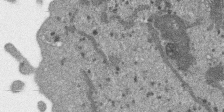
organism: Human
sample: Lung epithelial cells infected with SARS-CoV-2